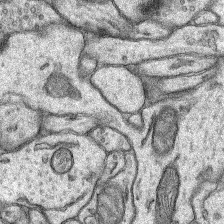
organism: Rat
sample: Hippocampus